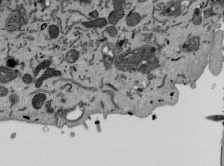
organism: Mouse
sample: ED-1 cell nuclei; centrioles